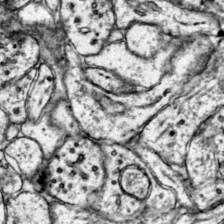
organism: Mouse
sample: Primary visual cortex